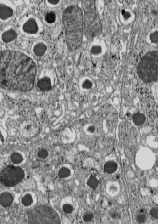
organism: C57BL Mouse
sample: Pancreatic islet